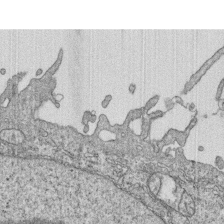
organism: Human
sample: HeLa cell HIV synapse